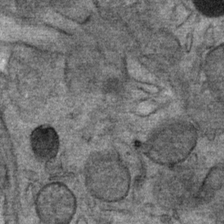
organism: Mouse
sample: Mouse Salivary gland